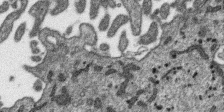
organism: Human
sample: Lung epithelial cells infected with SARS-CoV-2